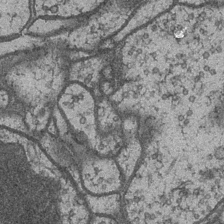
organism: Drosophila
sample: Optic medulla